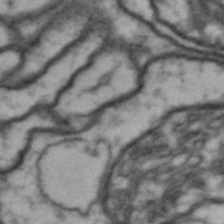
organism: Drosophila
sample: Brain